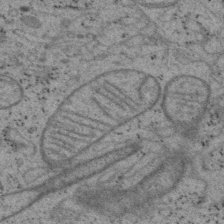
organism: Human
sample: HeLa cells